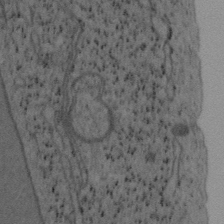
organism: Human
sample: HeLa cells